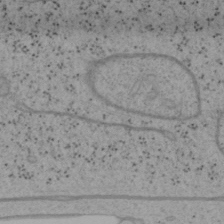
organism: Human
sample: HeLa cells